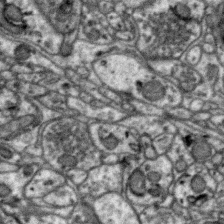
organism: Zebra finch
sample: Brain